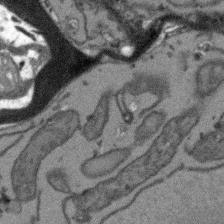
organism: Arabidopsis thaliana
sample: Root tip